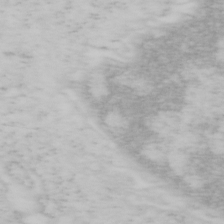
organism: Mouse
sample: OT-I killer T cells with ID8 ovarian cancer cells